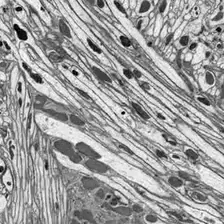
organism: Drosophila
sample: Optic lobe